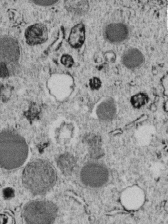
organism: C. elegans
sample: C. elegans embryo early stage